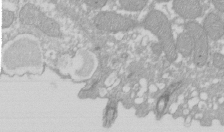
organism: Xenopus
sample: Cilia; centrioles in frog embryo cells